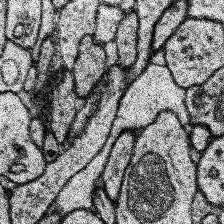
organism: Human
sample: Temporal Lobe